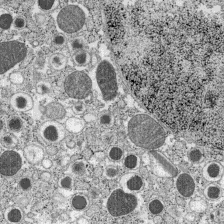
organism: C57BL Mouse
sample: Pancreatic islet